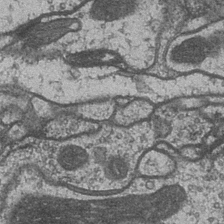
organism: Drosophila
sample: Optic medulla